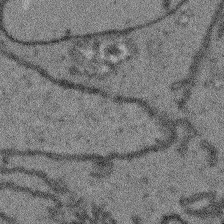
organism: Arabidopsis thaliana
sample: Root tip